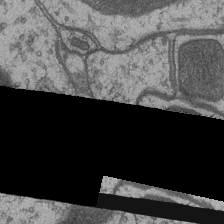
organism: Drosophila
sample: Optic medulla